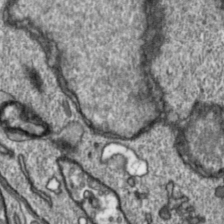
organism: Toxoplasma gondii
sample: Parasites in a vacuole inside a host cell